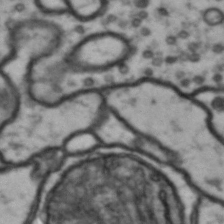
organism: Drosophila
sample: Brain